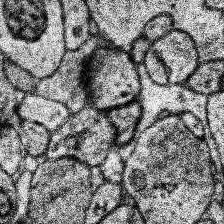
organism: Human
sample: Temporal Lobe